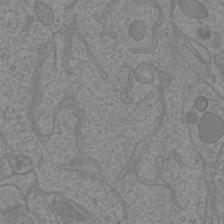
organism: Mouse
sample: Cortical neurons